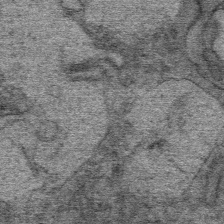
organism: Mouse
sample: Mouse Salivary gland